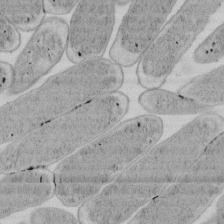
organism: E. coli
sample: Bacterial nucleoid